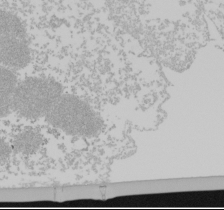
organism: Mouse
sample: Cancer cell death in ED-1 cells